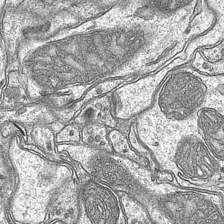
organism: Mouse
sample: CA1 Hippocampus